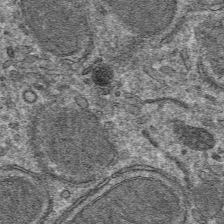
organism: Mouse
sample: Mouse hepatocytes